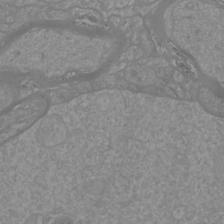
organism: Mouse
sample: Cortical neurons